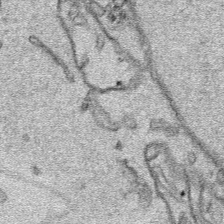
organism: Human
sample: Mitochondria in HCT116 cells